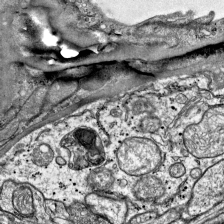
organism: Mouse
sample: Visual Cortex